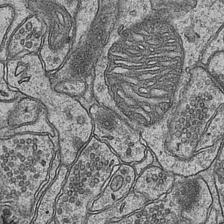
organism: Mouse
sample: CA1 Hippocampus